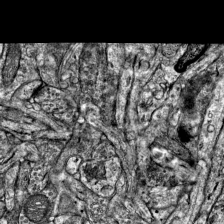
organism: Mouse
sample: Visual Cortex